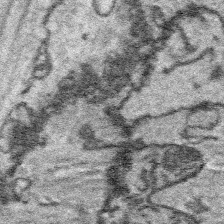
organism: Platynereis dumerilii